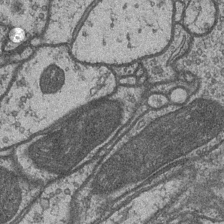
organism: Drosophila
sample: Optic medulla